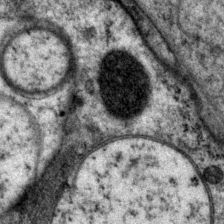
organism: P. pacificus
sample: Pharynx